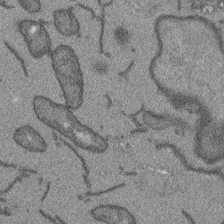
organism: Arabidopsis thaliana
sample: Root tip